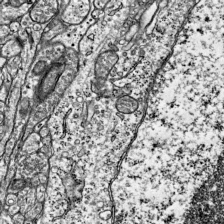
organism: Mouse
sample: Visual Cortex